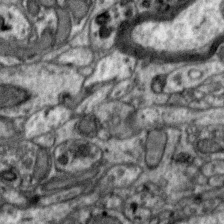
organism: Zebra finch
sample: Brain